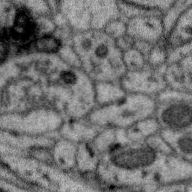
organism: Zebra finch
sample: Brain